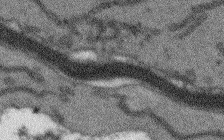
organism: Arabidopsis thaliana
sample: Root tip